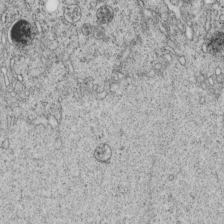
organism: C. elegans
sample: C. elegans embryo early stage